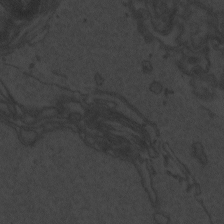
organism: Zebrafish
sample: Macrophage infected with Toxoplasma gondii